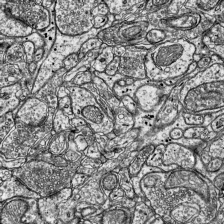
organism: Mouse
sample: Visual Cortex